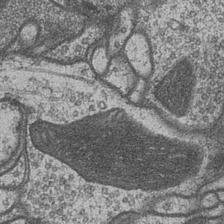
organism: Drosophila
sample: Optic medulla